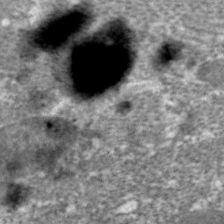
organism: C. elegans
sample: Pharynx